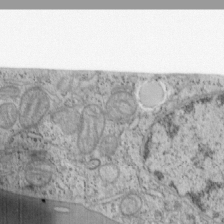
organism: Human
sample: HeLa cells